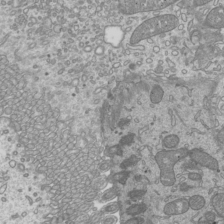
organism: Mouse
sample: Cilia; mouse epididymis